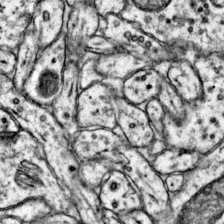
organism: Mouse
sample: Primary visual cortex